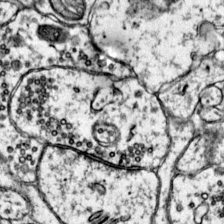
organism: Mouse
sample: Primary visual cortex